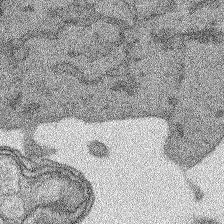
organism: Human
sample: HeLa cells